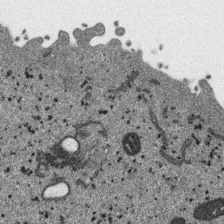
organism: Human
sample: Lung epithelial cells infected with SARS-CoV-2